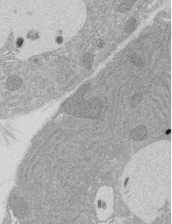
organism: Rat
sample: Salivary granule